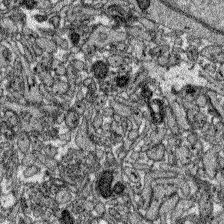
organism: Zebrafish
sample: Larval olfactory bulb